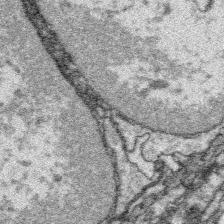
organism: Platynereis dumerilii